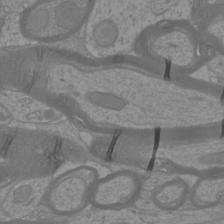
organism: Mouse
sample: Cortical neurons